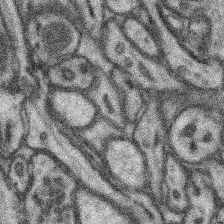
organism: Mouse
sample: Somatosensory cortex neuropil